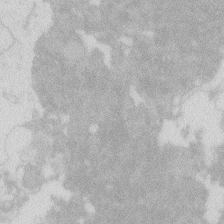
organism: Zebrafish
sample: Macrophage